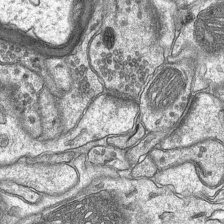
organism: Mouse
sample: CA1 Hippocampus